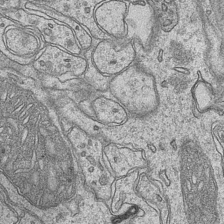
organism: Mouse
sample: CA1 Hippocampus